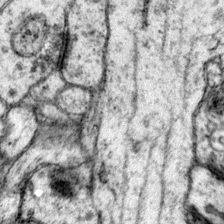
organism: Mouse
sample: Primary visual cortex